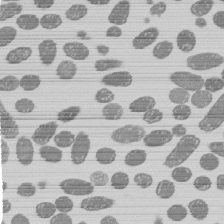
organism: E. coli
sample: Bacterial nucleoid